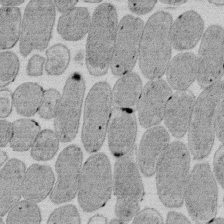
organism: E. coli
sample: Bacterial nucleoid